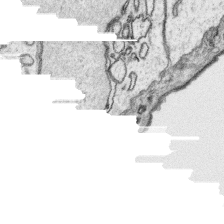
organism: Platynereis dumerilii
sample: Parapodia